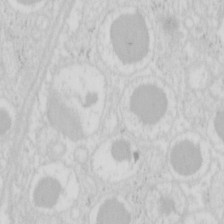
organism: Mouse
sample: Pancreas